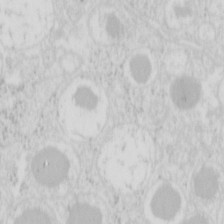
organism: Mouse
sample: Pancreas